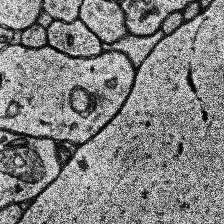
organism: Human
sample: Temporal Lobe